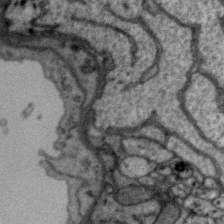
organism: Zebra finch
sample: Brain